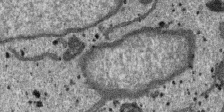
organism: Human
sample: Lung epithelial cells, uninfected (mock) control